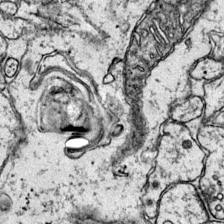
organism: Mouse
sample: Primary visual cortex